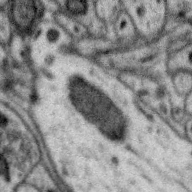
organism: Zebra finch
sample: Brain